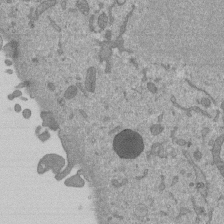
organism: Mouse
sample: ED-1 cell nuclei; centrioles